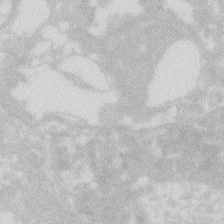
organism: Zebrafish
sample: Macrophage